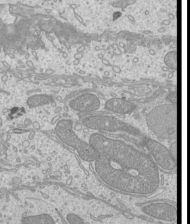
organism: Mouse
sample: Cilia; mouse epididymis